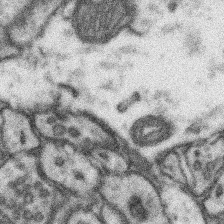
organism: Mouse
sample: Somatosensory cortex neuropil